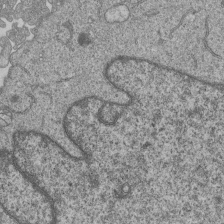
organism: Human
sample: MDA-MB-231 cells